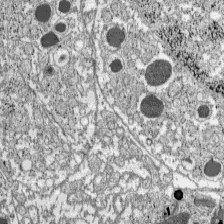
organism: C57BL Mouse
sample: Pancreatic islet